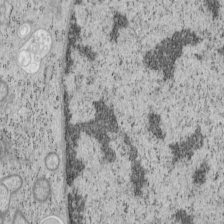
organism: Mouse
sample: OT-I killer T cells with ID8 ovarian cancer cells